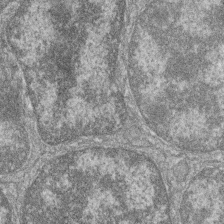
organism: Zebrafish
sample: Cilia; retinal pigment epithelium